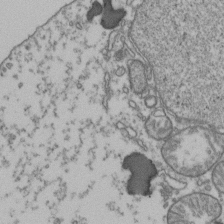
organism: Human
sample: Activated Jurkat CD4+ T cells